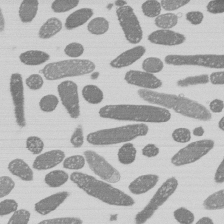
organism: E. coli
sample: Bacterial nucleoid